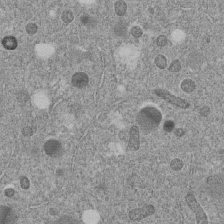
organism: C. elegans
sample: C. elegans embryo early stage